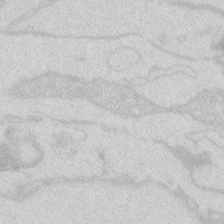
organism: Zebrafish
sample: Macrophage